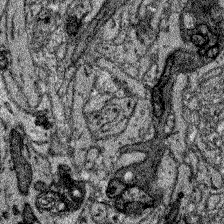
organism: Zebrafish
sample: Larval olfactory bulb